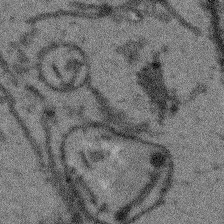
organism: Arabidopsis thaliana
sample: Root tip